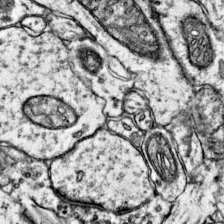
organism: Mouse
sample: Primary visual cortex